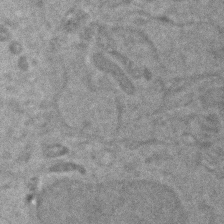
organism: Zebrafish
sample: Zebrafish embryo